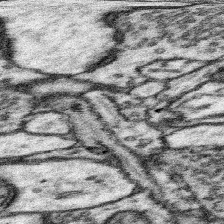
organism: Mouse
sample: Somatosensory cortex neuropil